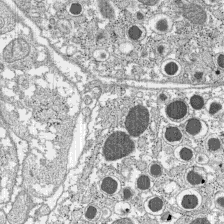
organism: C57BL Mouse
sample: Pancreatic islet